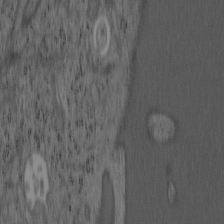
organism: Human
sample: HeLa cells